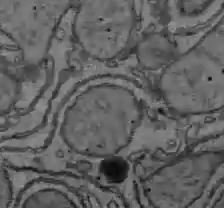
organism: C57BL Mouse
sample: Liver